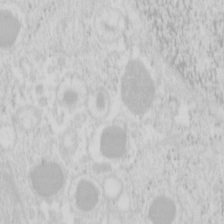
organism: Mouse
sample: Pancreas